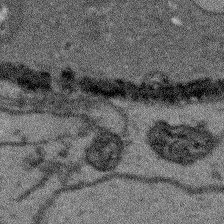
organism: Arabidopsis thaliana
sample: Root tip